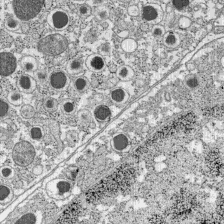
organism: C57BL Mouse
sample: Pancreatic islet